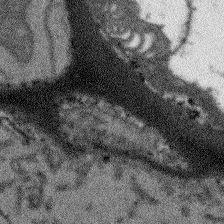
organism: Arabidopsis thaliana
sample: Root tip